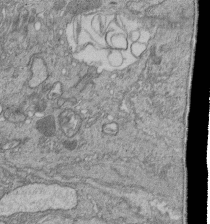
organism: Human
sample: Retinal organoid Rod and Cone cells